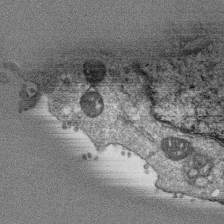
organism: African green monkey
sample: Vero E6 cells infected with SARS-CoV-2